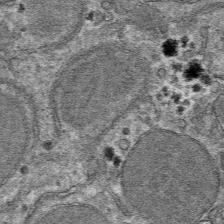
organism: Mouse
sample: Mouse hepatocytes